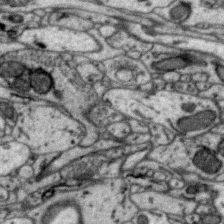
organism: Zebra finch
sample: Brain